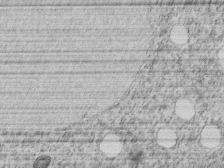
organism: C. elegans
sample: C. elegans embryo early stage